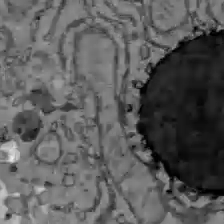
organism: C57BL Mouse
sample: Liver